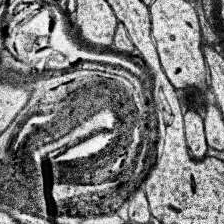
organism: Human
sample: Temporal Lobe